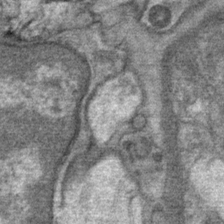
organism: Mouse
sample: Mouse Salivary gland